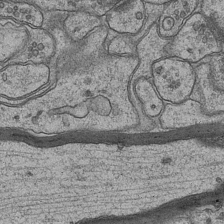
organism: Mouse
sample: CA1 Hippocampus